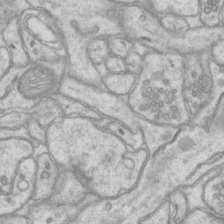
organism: Mouse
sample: CA1 Hippocampus